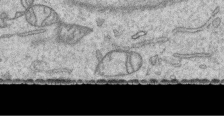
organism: Human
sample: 1205lu cells